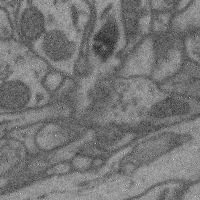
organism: Mouse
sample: Cerebral cortex